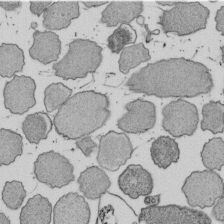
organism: E. coli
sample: Bacterial nucleoid